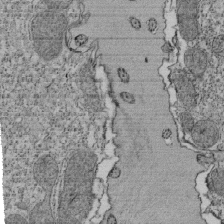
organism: Tetrahymena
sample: Cilia in tetrahymena